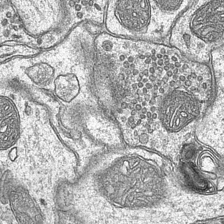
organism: Mouse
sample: CA1 Hippocampus